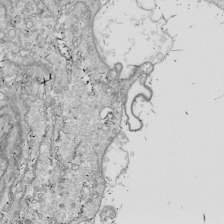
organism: Drosophila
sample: Cell division; meiosis; drosophila spermatocytes